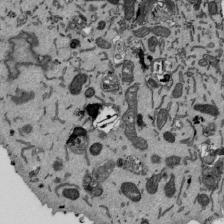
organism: Mouse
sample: ED-1 cell nuclei; centrioles